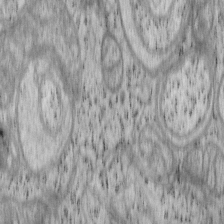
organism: Human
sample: HeLa cells